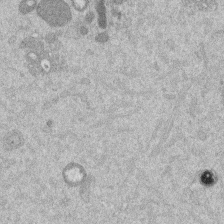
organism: Mouse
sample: Dividing mouse embryo 1 cell stage